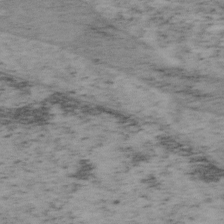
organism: Mouse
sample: OT-I killer T cells with ID8 ovarian cancer cells